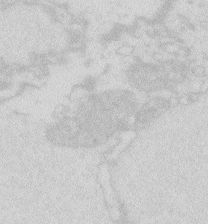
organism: Zebrafish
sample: Macrophage